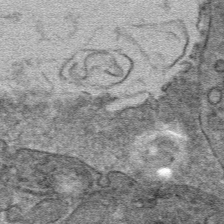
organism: Mouse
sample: Mouse hepatocytes